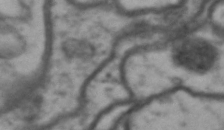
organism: Drosophila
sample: Brain